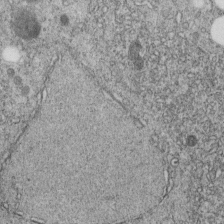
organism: C. elegans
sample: C. elegans embryo early stage